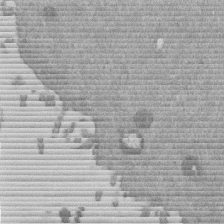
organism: Mouse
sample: Dividing mouse embryo 1 cell stage